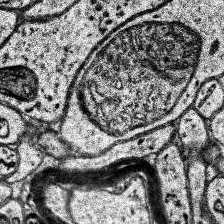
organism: Human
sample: Temporal Lobe